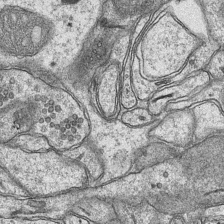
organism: Mouse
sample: CA1 Hippocampus